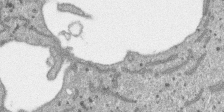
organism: Human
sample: Lung epithelial cells infected with SARS-CoV-2